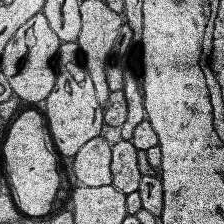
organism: Human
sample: Temporal Lobe